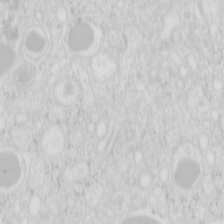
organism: Mouse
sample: Pancreas